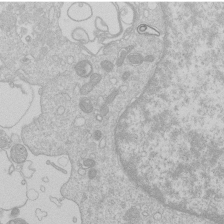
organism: Human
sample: Macrophage cells